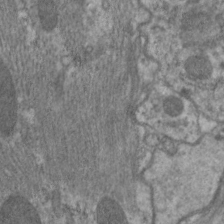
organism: C. elegans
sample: Pharynx